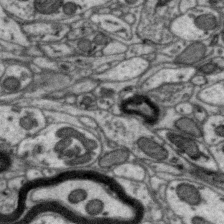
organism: Zebra finch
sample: Brain